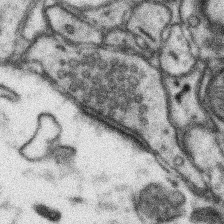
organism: Mouse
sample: Somatosensory cortex neuropil